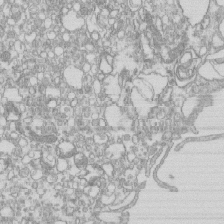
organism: Mouse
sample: Macrophages